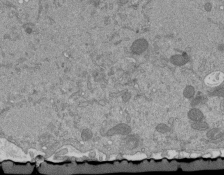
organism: Mouse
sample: ED-1 cell nuclei; centrioles